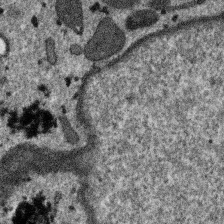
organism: Human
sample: Lung epithelial cells infected with SARS-CoV-2